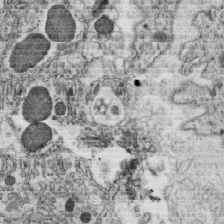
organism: C. elegans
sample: C. elegans oocyte; sperm cells